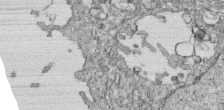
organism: Human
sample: HeLa cell HIV synapse